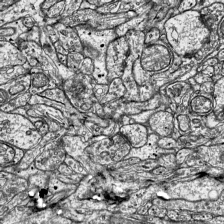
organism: Mouse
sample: Visual Cortex